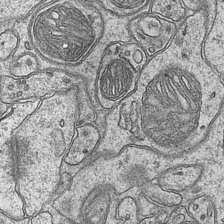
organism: Mouse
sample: CA1 Hippocampus